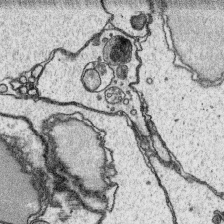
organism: Platynereis dumerilii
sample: Parapodia